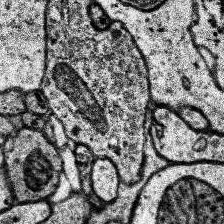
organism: Human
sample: Temporal Lobe